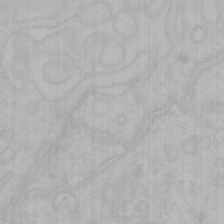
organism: Mouse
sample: Choroid plexus